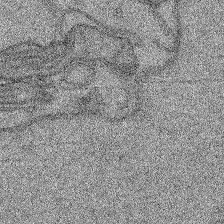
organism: Human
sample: HeLa cells